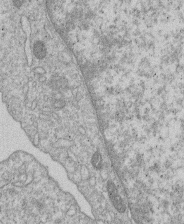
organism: Human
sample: Macrophage cells